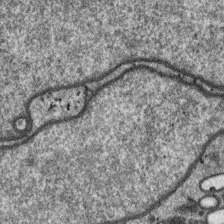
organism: Human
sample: Lung epithelial cells infected with SARS-CoV-2